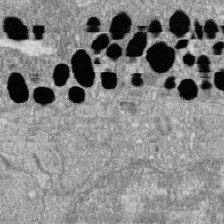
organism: Zebrafish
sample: Cilia; retinal pigment epithelium